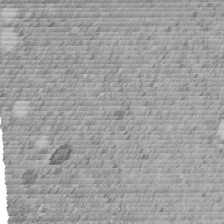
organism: C. elegans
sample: C. elegans embryo early stage